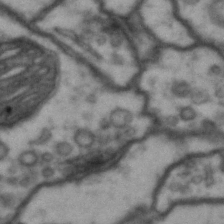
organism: Drosophila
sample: Brain